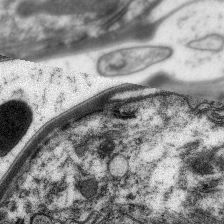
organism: C. elegans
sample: Pharynx